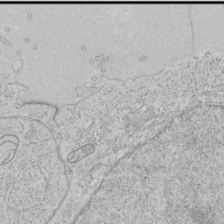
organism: Human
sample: Mitochondria in HCT116 cells